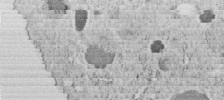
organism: C. elegans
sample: C. elegans embryo early stage